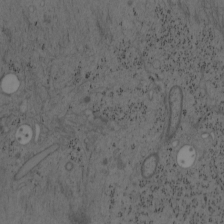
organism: Mouse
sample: OT-I killer T cells with ID8 ovarian cancer cells